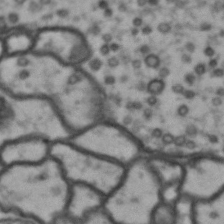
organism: Drosophila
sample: Brain